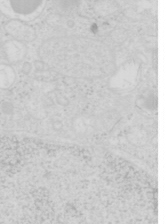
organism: Mouse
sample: Pancreas